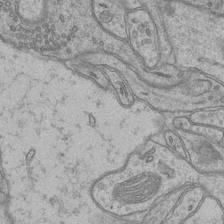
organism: Mouse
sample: CA1 Hippocampus